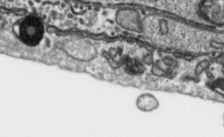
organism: Toxoplasma gondii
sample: Parasites in a vacuole inside a host cell